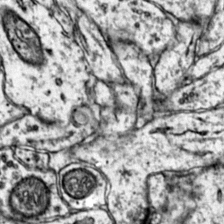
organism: Mouse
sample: Primary visual cortex